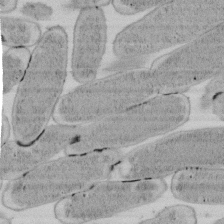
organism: E. coli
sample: Bacterial nucleoid